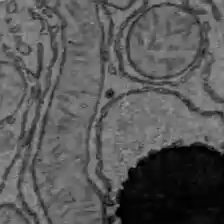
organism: C57BL Mouse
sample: Liver